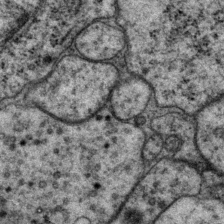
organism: P. pacificus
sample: Pharynx